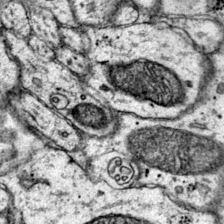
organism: Mouse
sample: Primary visual cortex